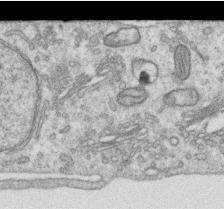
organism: Human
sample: Centriole in RPE cells